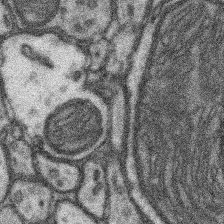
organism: Mouse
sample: Somatosensory cortex neuropil